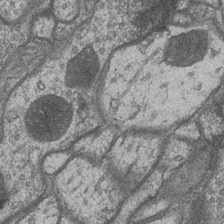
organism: Drosophila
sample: Optic medulla